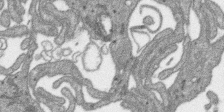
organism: Human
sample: Lung epithelial cells infected with SARS-CoV-2